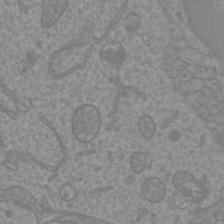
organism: Mouse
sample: Cortical neurons